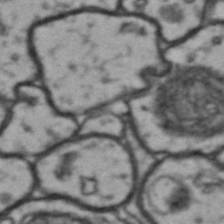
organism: Drosophila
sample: Brain